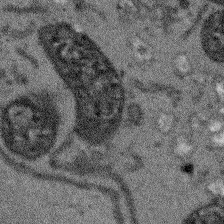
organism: Arabidopsis thaliana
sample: Root tip